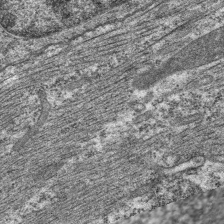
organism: C. elegans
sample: Pharynx